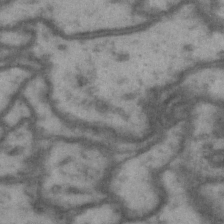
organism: Drosophila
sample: Brain